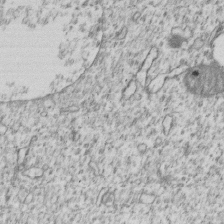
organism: Human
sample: MDA-MB-231 cells